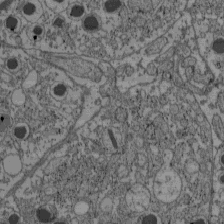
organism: C57BL Mouse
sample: Pancreatic islet